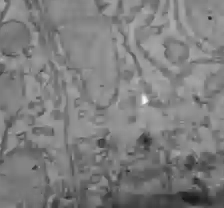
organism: C57BL Mouse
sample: Liver